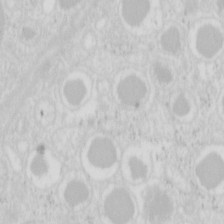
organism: Mouse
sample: Pancreas